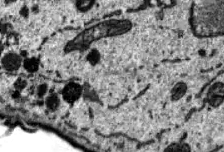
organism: Human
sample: HeLa cells